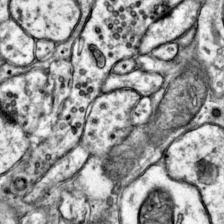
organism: Mouse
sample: Primary visual cortex